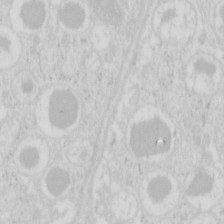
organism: Mouse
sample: Pancreas